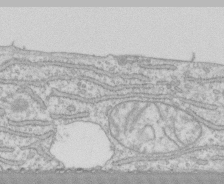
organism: Human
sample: CRL-1474